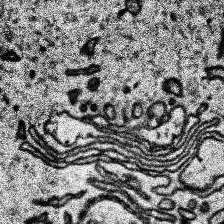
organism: Human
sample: Temporal Lobe